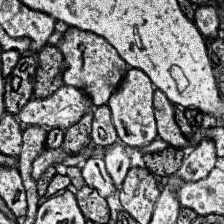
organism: Human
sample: Temporal Lobe